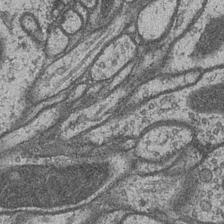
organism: Drosophila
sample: Optic medulla